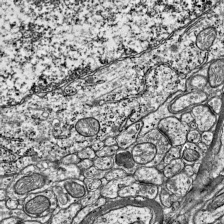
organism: Mouse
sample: Visual Cortex